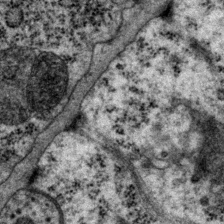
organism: P. pacificus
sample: Pharynx